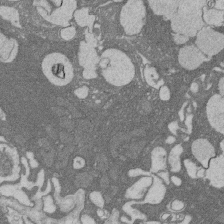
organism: Rat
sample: Salivary granule